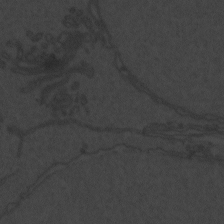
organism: Zebrafish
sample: Macrophage infected with Toxoplasma gondii